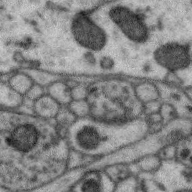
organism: Zebra finch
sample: Brain